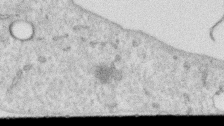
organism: Human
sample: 1205lu cells